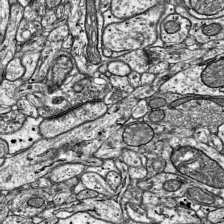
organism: Mouse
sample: Visual Cortex